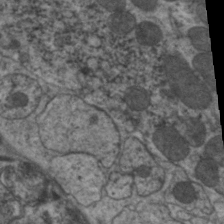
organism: C. elegans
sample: Pharynx